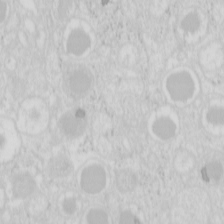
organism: Mouse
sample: Pancreas